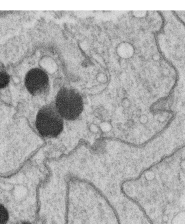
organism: C. elegans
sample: C. elegans oocyte; sperm cells